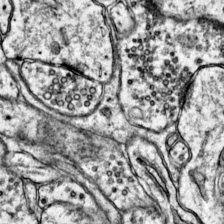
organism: Mouse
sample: Primary visual cortex